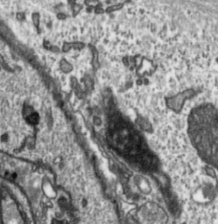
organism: Toxoplasma gondii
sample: Parasites in a vacuole inside a host cell